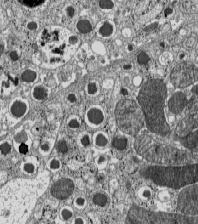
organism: C57BL Mouse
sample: Pancreatic islet